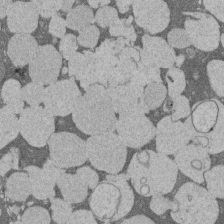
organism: Rat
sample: Salivary granule